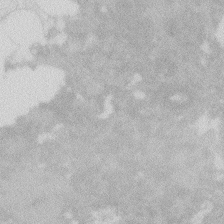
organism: Zebrafish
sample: Macrophage